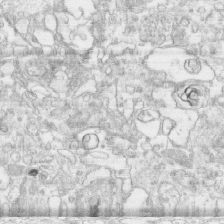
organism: Human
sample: CRL-1474